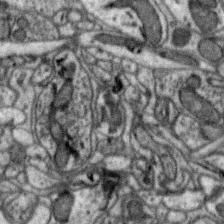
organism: Zebra finch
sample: Brain